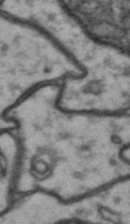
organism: Drosophila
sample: Brain